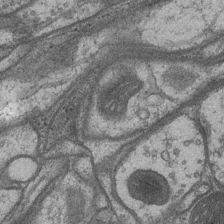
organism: Drosophila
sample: Optic medulla